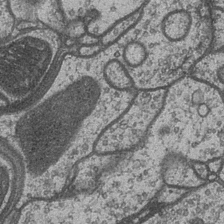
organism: Drosophila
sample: Optic medulla